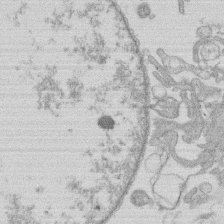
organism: Human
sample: Macrophage cells